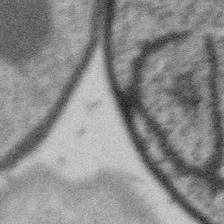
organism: Gemmata obscuriglobus